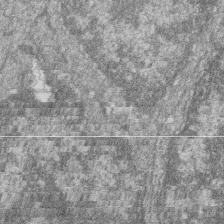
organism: Zebrafish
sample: Cilia; retinal pigment epithelium